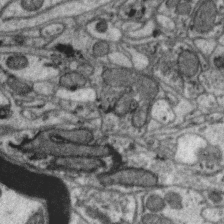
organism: Zebra finch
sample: Brain